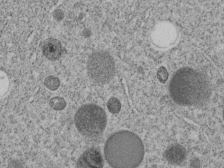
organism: C. elegans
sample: C. elegans embryo early stage